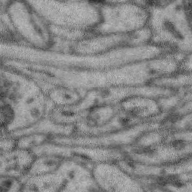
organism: Zebra finch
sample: Brain